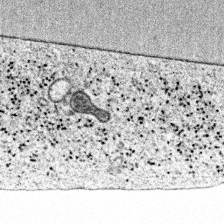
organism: Human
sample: HeLa cells